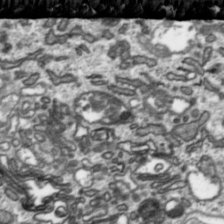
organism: Toxoplasma gondii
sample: Parasites in a vacuole inside a host cell